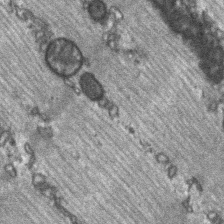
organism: C57BL Mouse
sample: Soleus